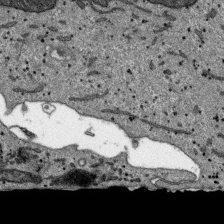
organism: Human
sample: Lung epithelial cells, uninfected (mock) control